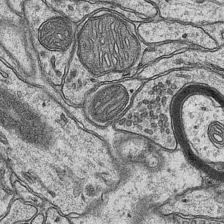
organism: Mouse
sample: CA1 Hippocampus